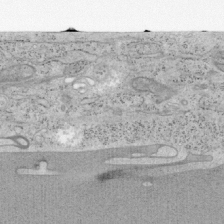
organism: Human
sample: HeLa cells